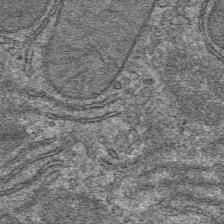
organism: Mouse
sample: Mouse hepatocytes